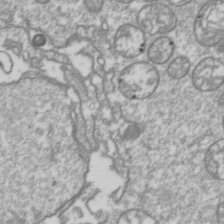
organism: Drosophila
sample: Cell division; meiosis; drosophila spermatocytes